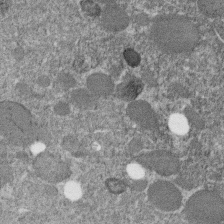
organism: C. elegans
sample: C. elegans embryo early stage